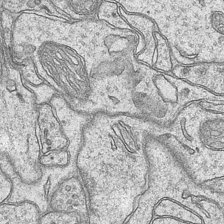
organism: Mouse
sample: CA1 Hippocampus